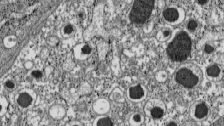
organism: C57BL Mouse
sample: Pancreatic islet